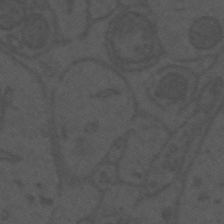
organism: Mouse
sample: Suprachiasmatic nucleus